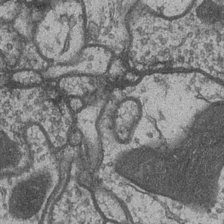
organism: Drosophila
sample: Optic medulla